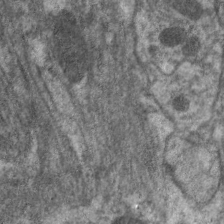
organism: C. elegans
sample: Pharynx